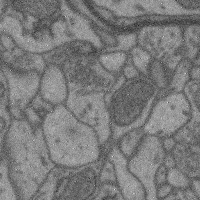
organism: Mouse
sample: Cerebral cortex